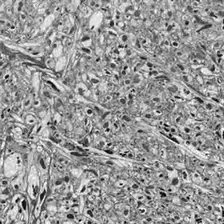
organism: Drosophila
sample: Optic lobe